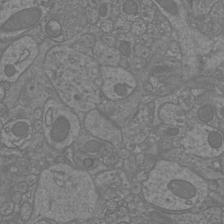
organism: Mouse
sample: Cortical neurons